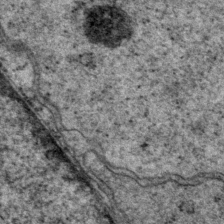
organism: P. pacificus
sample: Pharynx